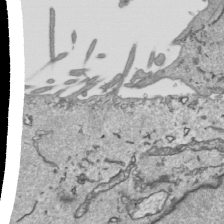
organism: Human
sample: Mitochondria in HCT116 cells